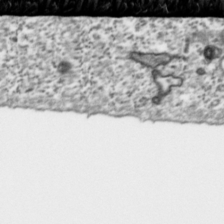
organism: Toxoplasma gondii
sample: Parasites in a vacuole inside a host cell